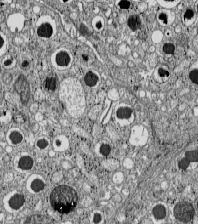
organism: C57BL Mouse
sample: Pancreatic islet